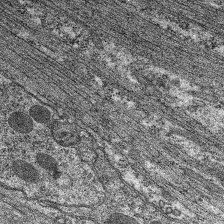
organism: C. elegans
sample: Pharynx